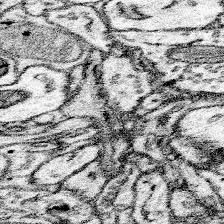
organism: Mouse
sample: Somatosensory cortex neuropil